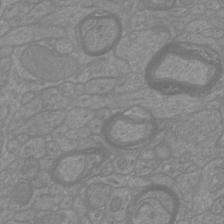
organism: Mouse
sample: Cortical neurons